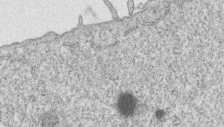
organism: Human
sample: HeLa cell HIV synapse